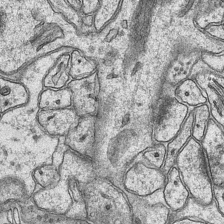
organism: Mouse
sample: CA1 Hippocampus